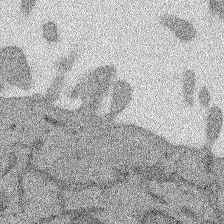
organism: Human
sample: HeLa cells